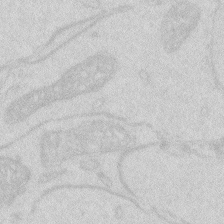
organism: Zebrafish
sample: Macrophage